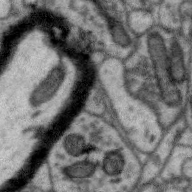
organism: Zebra finch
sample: Brain